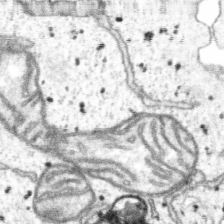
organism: Human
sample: HeLa cells